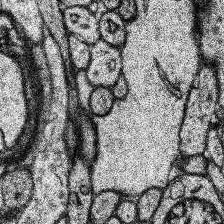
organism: Human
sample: Temporal Lobe